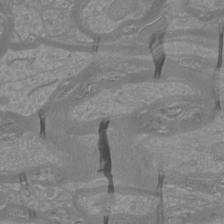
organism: Mouse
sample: Cortical neurons